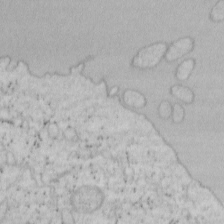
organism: Human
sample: HeLa cells